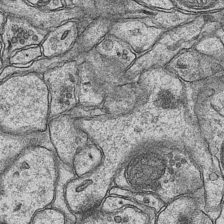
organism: Mouse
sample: CA1 Hippocampus